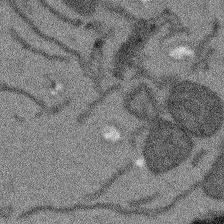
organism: Arabidopsis thaliana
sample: Root tip